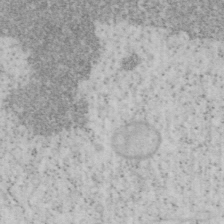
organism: Human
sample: HeLa cells